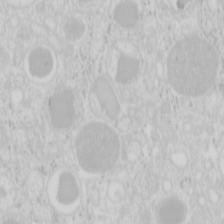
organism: Mouse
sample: Pancreas